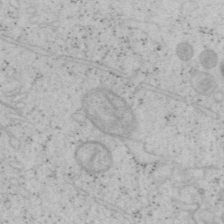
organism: Human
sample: HeLa cells